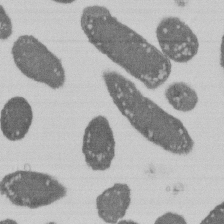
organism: E. coli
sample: Bacterial nucleoid